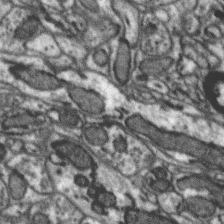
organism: Zebra finch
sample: Brain